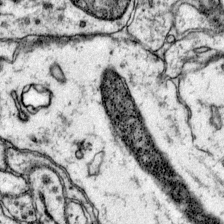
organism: Mouse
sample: Primary visual cortex